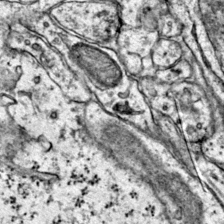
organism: Mouse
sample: Primary visual cortex